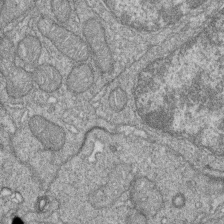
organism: Zebrafish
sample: Cilia; retinal pigment epithelium